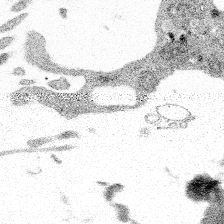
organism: Spongilla lacustris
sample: Multiple